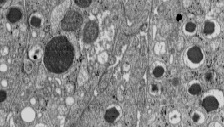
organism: C57BL Mouse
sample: Pancreatic islet